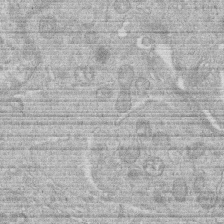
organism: Human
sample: Macrophage cells